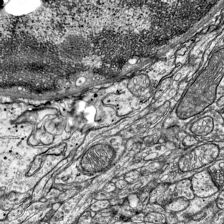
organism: Mouse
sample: Visual Cortex